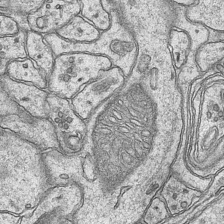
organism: Mouse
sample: CA1 Hippocampus